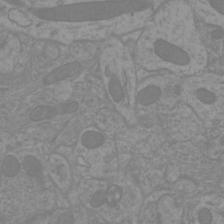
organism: Mouse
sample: Cortical neurons